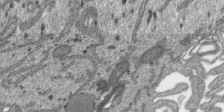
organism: Human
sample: Lung epithelial cells infected with SARS-CoV-2